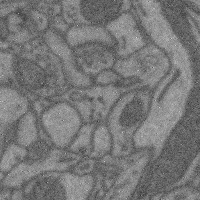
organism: Mouse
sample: Cerebral cortex